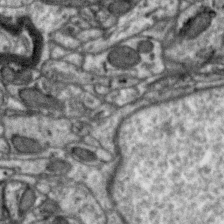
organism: Zebra finch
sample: Brain